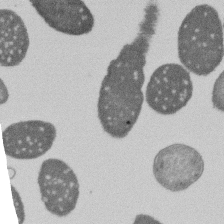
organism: E. coli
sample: Bacterial nucleoid